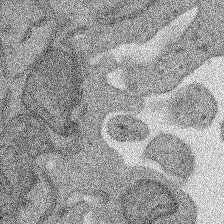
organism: Human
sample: HeLa cells